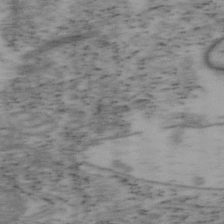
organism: Mouse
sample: OT-I killer T cells with ID8 ovarian cancer cells